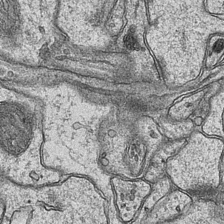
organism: Mouse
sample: CA1 Hippocampus